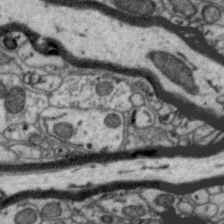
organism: Zebra finch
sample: Brain